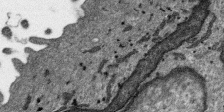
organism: Human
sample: Lung epithelial cells, uninfected (mock) control